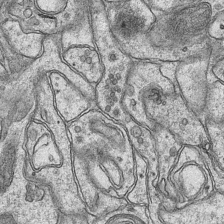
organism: Mouse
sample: CA1 Hippocampus